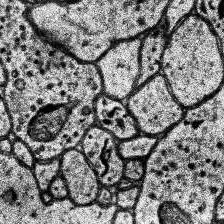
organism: Human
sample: Temporal Lobe